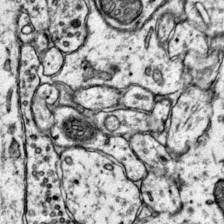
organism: Mouse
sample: Primary visual cortex